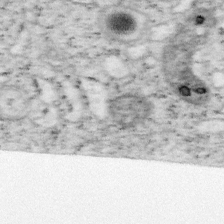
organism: Mouse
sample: OT-I killer T cells with ID8 ovarian cancer cells